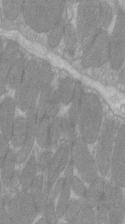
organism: C57BL Mouse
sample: Tibialis anterior muscle cell